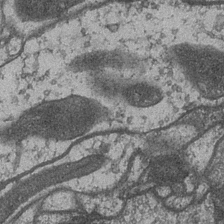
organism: Drosophila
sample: Optic medulla